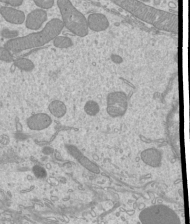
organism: Mouse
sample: Cilia; mouse epididymis